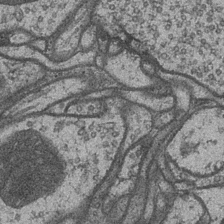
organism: Drosophila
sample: Optic medulla